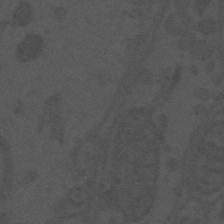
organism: Mouse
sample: Suprachiasmatic nucleus